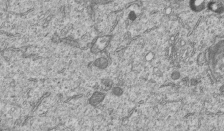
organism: Human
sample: MDA-MB-231 cells